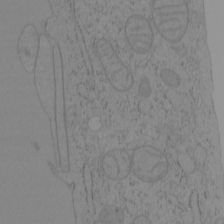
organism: Human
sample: HeLa cells